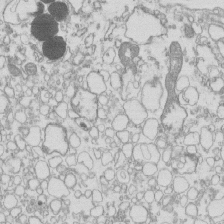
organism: Mouse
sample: Macrophages